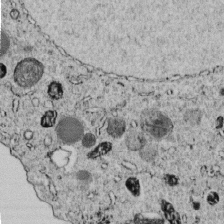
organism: C. elegans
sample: C. elegans embryo early stage